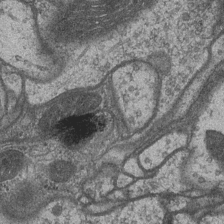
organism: Drosophila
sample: Optic medulla